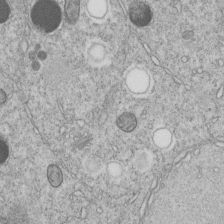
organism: C. elegans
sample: C. elegans embryo early stage